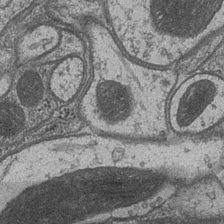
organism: Drosophila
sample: Optic medulla